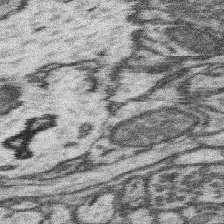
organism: Mouse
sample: Somatosensory cortex neuropil